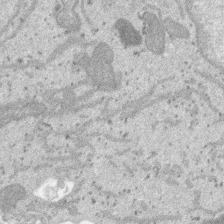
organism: Human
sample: Lung epithelial cells infected with SARS-CoV-2